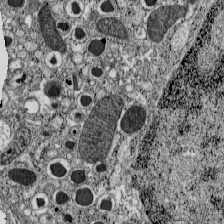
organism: C57BL Mouse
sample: Pancreatic islet